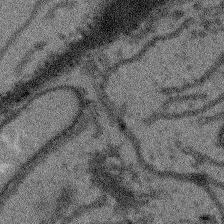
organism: Arabidopsis thaliana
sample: Root tip